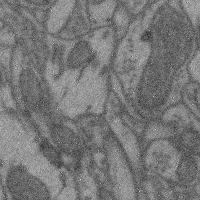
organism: Mouse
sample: Cerebral cortex